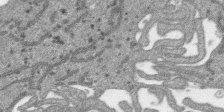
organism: Human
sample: Lung epithelial cells infected with SARS-CoV-2